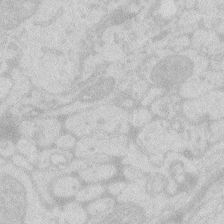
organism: Zebrafish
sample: Macrophage